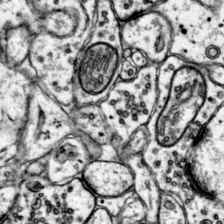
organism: Mouse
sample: Primary visual cortex